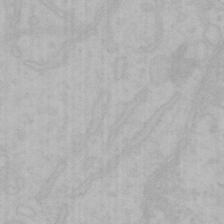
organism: Mouse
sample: Choroid plexus